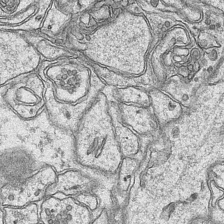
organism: Mouse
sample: CA1 Hippocampus